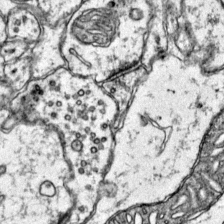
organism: Mouse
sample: Primary visual cortex